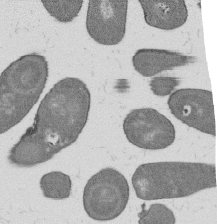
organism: B. subtilis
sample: Bacterial spore